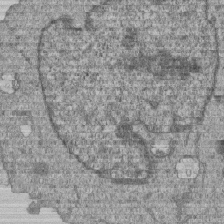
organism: Human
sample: MDA-MB-231 cells